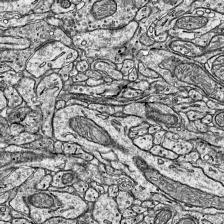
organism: Mouse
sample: Visual Cortex